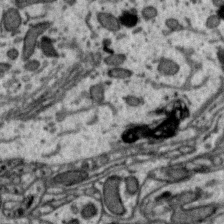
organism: Zebra finch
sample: Brain